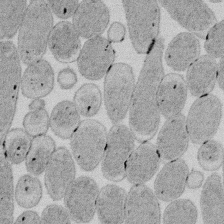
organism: E. coli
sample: Bacterial nucleoid